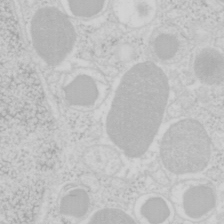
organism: Mouse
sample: Pancreas